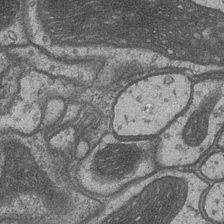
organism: Drosophila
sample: Optic medulla